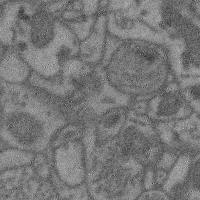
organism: Mouse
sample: Cerebral cortex